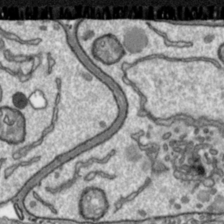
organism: Toxoplasma gondii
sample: Parasites in a vacuole inside a host cell